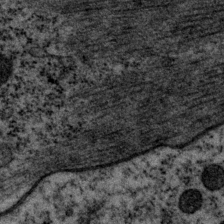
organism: P. pacificus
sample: Pharynx